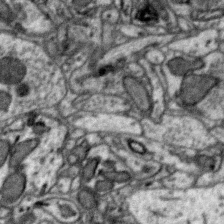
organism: Zebra finch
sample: Brain